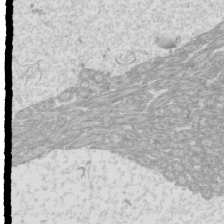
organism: Mouse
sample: Cilia; mouse epididymis